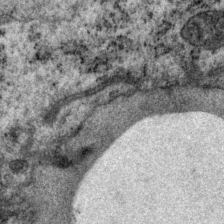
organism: P. pacificus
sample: Pharynx